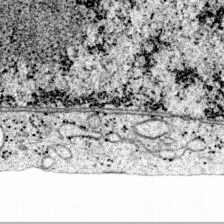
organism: Human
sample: HeLa cells